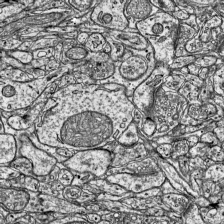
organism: Mouse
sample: Visual Cortex